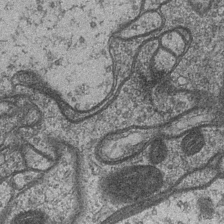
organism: Drosophila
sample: Optic medulla